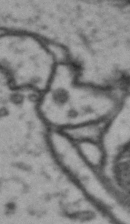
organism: Drosophila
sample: Brain